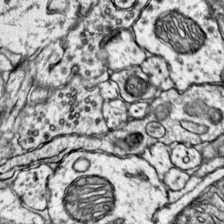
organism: Mouse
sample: Primary visual cortex